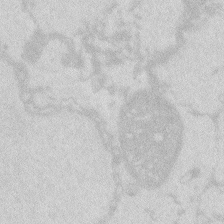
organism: Zebrafish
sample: Macrophage